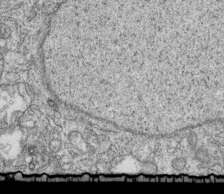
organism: Human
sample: HeLa cell HIV synapse